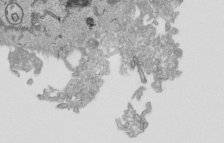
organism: Human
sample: Mitochondria in HCT116 cells